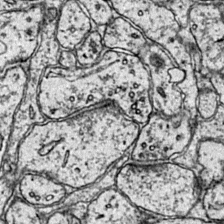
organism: Mouse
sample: Primary visual cortex